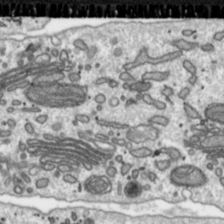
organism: Toxoplasma gondii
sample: Parasites in a vacuole inside a host cell